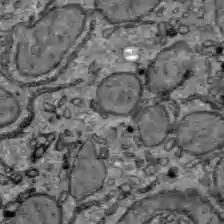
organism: C57BL Mouse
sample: Liver